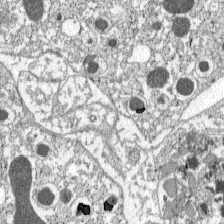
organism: C57BL Mouse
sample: Pancreatic islet